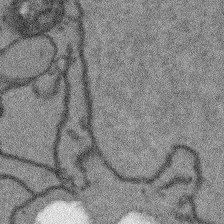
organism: Arabidopsis thaliana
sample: Root tip